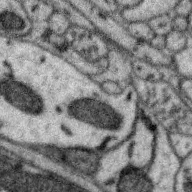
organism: Zebra finch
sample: Brain